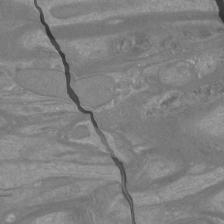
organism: Mouse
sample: Cortical neurons